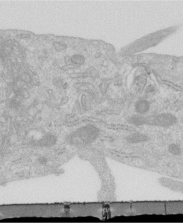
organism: Human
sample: Centriole in RPE cells